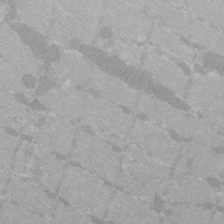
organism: C57BL Mouse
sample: Tibialis anterior muscle cell